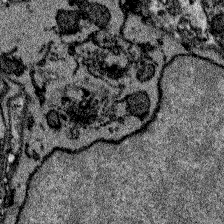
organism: Zebrafish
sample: Larval olfactory bulb